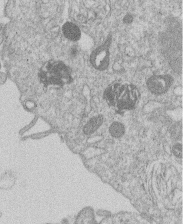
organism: Human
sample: Macrophage cells